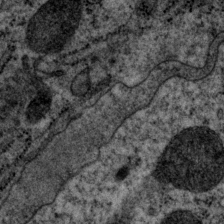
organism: P. pacificus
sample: Pharynx